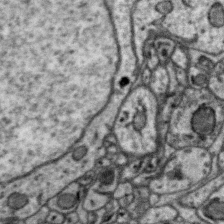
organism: Zebra finch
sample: Brain